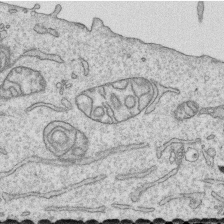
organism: Human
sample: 1205lu cells